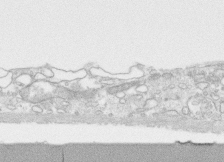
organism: Human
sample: CRL-1474